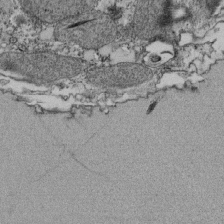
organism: Tetrahymena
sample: Cilia in tetrahymena